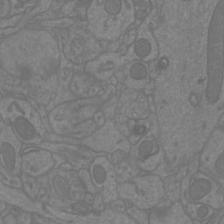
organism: Mouse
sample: Cortical neurons